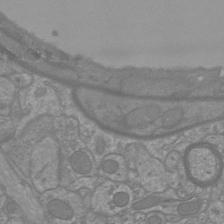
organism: Mouse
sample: Cortical neurons